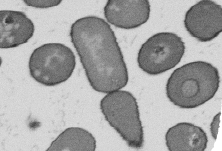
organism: B. subtilis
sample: Bacterial spore